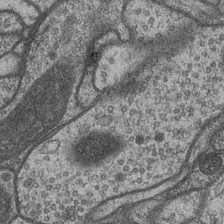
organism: Drosophila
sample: Optic medulla